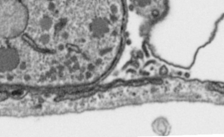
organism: Toxoplasma gondii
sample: Parasites in a vacuole inside a host cell